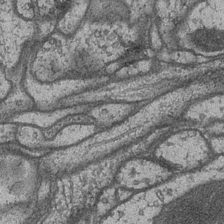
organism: Drosophila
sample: Optic medulla